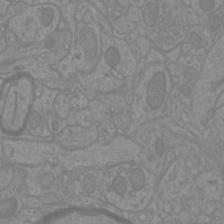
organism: Mouse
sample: Cortical neurons